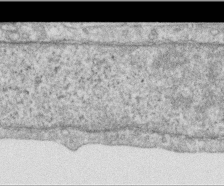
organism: Human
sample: Centriole in RPE cells